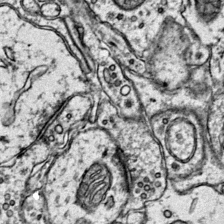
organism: Mouse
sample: Primary visual cortex